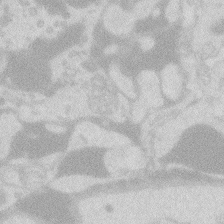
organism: Zebrafish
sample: Macrophage